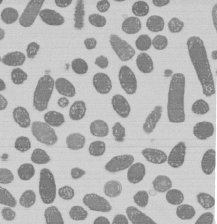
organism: E. coli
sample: Bacterial nucleoid